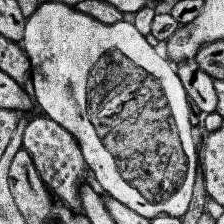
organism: Human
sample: Temporal Lobe